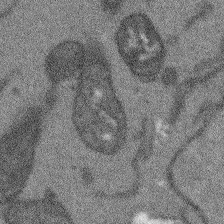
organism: Arabidopsis thaliana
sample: Root tip